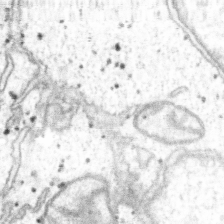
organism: Human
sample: HeLa cells